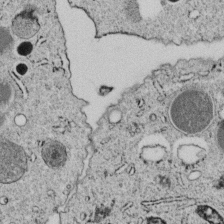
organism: C. elegans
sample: C. elegans embryo early stage